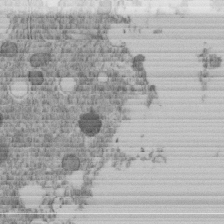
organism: C. elegans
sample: C. elegans embryo early stage